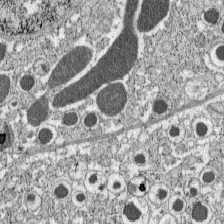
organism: C57BL Mouse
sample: Pancreatic islet